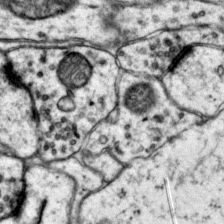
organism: Mouse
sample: Primary visual cortex